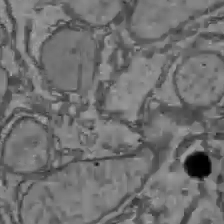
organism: C57BL Mouse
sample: Liver